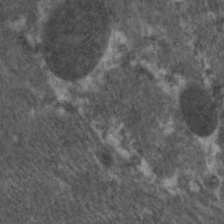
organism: C. elegans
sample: Pharynx